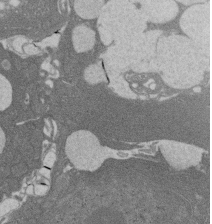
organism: Rat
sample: Salivary granule